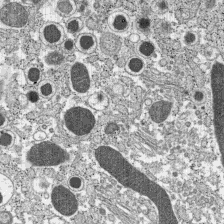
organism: C57BL Mouse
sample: Pancreatic islet